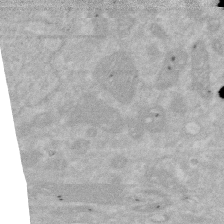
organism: Human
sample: HIV infected U937 cells